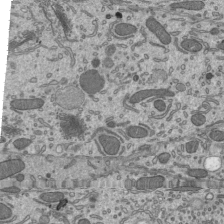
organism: Mouse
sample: Mouse epididymis efferent ductule cilia